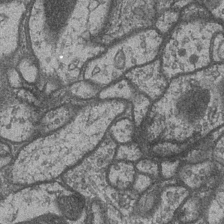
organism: Drosophila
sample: Optic medulla